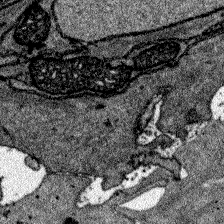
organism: Zebrafish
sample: Larval olfactory bulb